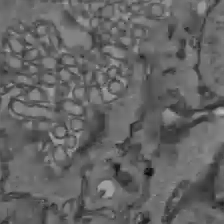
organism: C57BL Mouse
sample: Liver